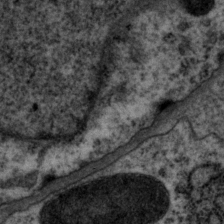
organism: P. pacificus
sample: Pharynx